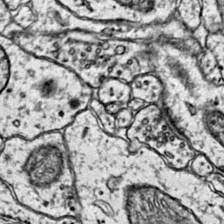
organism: Mouse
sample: Primary visual cortex